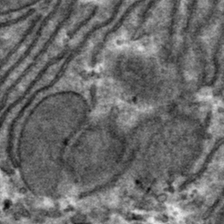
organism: Mouse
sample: Mouse hepatocytes